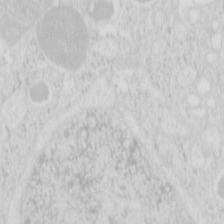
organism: Mouse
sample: Pancreas